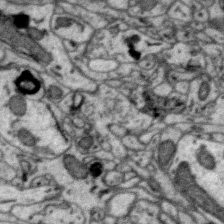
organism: Zebra finch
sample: Brain